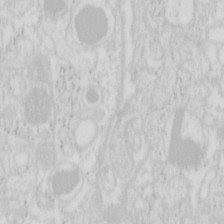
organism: Mouse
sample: Pancreas